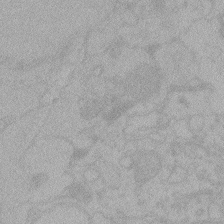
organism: Zebrafish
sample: Macrophage infected with Toxoplasma gondii